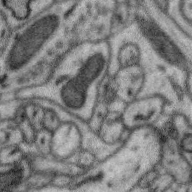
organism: Zebra finch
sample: Brain